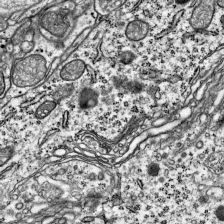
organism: Mouse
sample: Visual Cortex